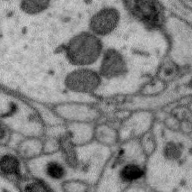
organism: Zebra finch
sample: Brain